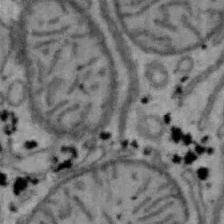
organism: Mouse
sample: Liver